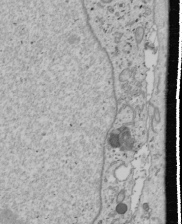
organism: Human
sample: Mitochondria in U2OS cells